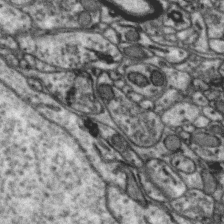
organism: Zebra finch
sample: Brain